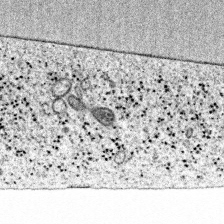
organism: Human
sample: HeLa cells